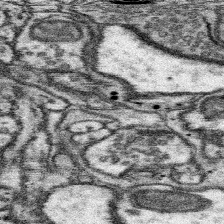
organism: Mouse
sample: Somatosensory cortex neuropil